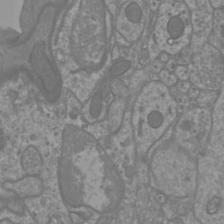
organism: Mouse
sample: Cortical neurons